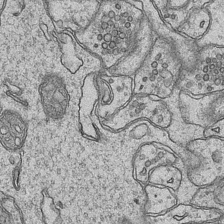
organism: Mouse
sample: CA1 Hippocampus